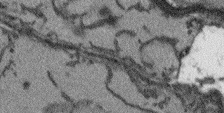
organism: Arabidopsis thaliana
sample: Root tip